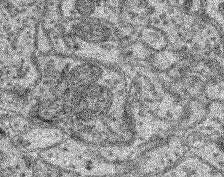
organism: Mouse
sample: Retina